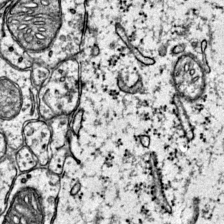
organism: Mouse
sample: Primary visual cortex